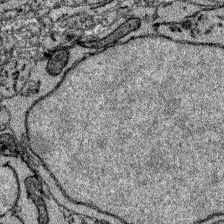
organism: Zebrafish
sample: Larval olfactory bulb